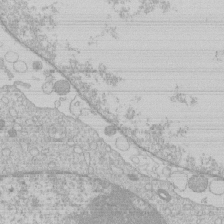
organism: Human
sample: Macrophage cells